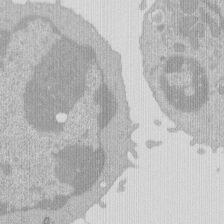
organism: Mouse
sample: Activated Pmel transgenic CD8+ T Cells